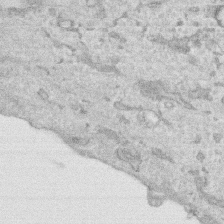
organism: Human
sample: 1205lu cells